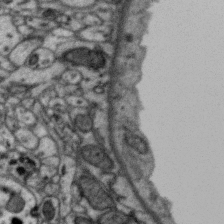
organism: Zebra finch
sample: Brain